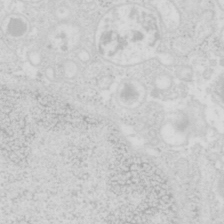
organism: Mouse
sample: Pancreas